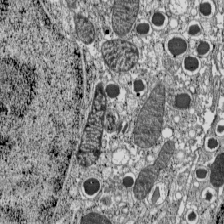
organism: C57BL Mouse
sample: Pancreatic islet